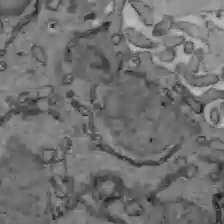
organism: C57BL Mouse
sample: Liver